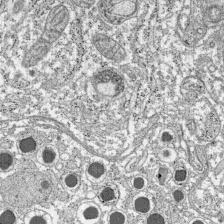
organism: C57BL Mouse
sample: Pancreatic islet